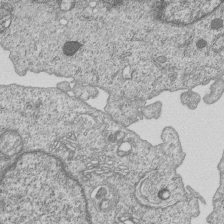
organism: Human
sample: MDA-MB-231 cells